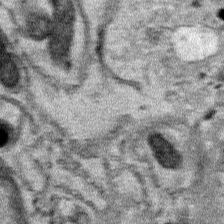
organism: Human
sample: Mitochondria in HCT116 cells